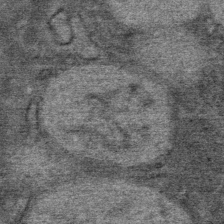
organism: Mouse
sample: Mouse Salivary gland